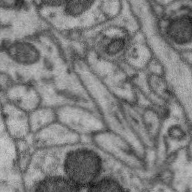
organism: Zebra finch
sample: Brain